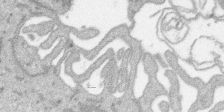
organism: Human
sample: Lung epithelial cells infected with SARS-CoV-2